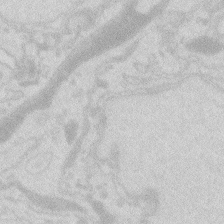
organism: Zebrafish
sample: Macrophage